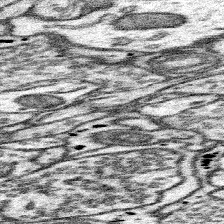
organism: Mouse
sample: Somatosensory cortex neuropil